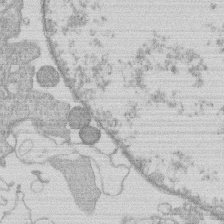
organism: Human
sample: Macrophage cells